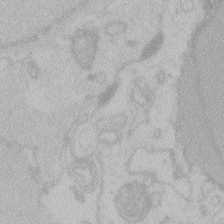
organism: Zebrafish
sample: Macrophage infected with Toxoplasma gondii